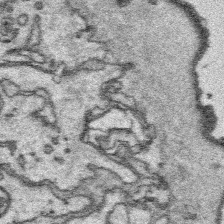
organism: Platynereis dumerilii